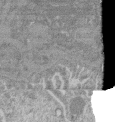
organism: Mouse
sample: Glomerulus